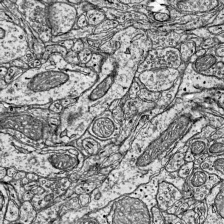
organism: Mouse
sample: Visual Cortex